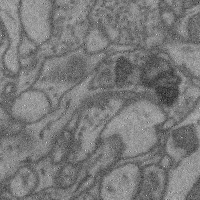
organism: Mouse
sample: Cerebral cortex